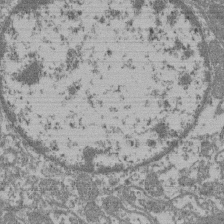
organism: Mouse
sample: Glomerulus